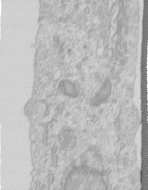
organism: Human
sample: Centriole in RPE cells